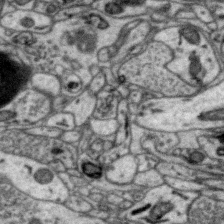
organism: Zebra finch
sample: Brain